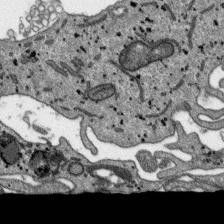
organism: Human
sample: Lung epithelial cells, uninfected (mock) control